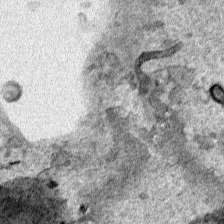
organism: Human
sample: Mitochondria in HCT116 cells